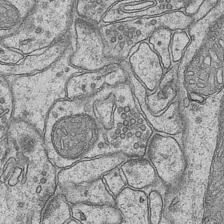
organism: Mouse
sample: CA1 Hippocampus